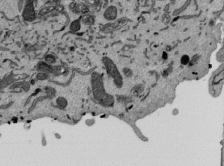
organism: Mouse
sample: ED-1 cell nuclei; centrioles